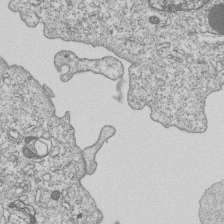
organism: Human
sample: MDA-MB-231 cells